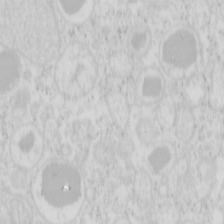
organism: Mouse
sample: Pancreas